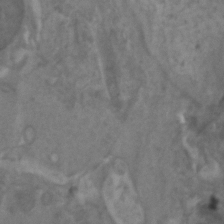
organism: Zebrafish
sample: Zebrafish embryo